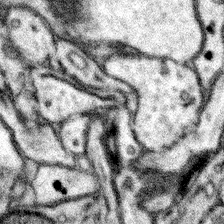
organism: Mouse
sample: Somatosensory cortex neuropil